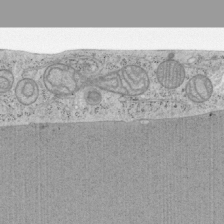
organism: Human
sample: HeLa cells